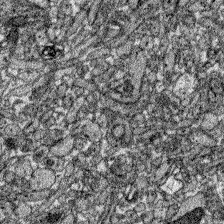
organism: Zebrafish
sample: Larval olfactory bulb